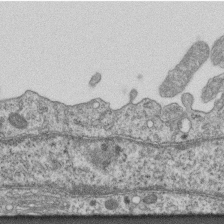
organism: Mouse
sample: Centriole in ependymal cells